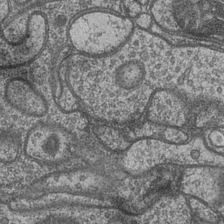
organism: Drosophila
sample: Optic medulla